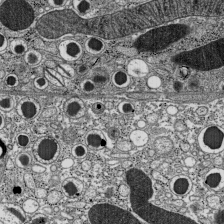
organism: C57BL Mouse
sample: Pancreatic islet